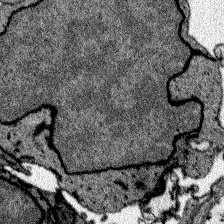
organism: Zebrafish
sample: Larval olfactory bulb